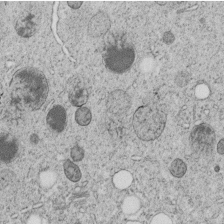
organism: C. elegans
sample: C. elegans embryo early stage